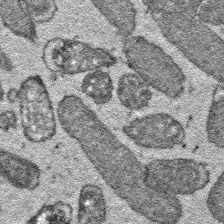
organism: E. coli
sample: E. Coli Bacteria